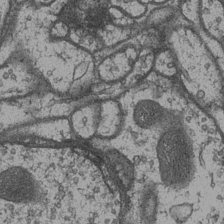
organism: Drosophila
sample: Optic medulla